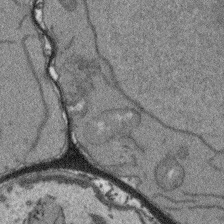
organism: Arabidopsis thaliana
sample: Root tip